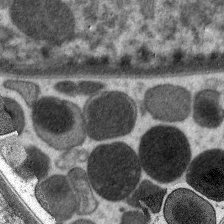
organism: C. elegans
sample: Pharynx